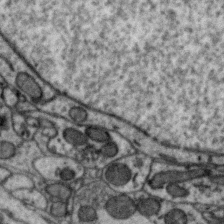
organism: Zebra finch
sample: Brain